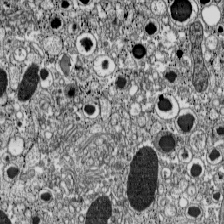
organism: C57BL Mouse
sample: Pancreatic islet